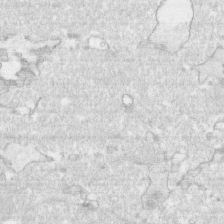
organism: Human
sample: CRL-1474